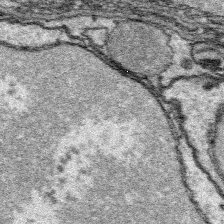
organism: Platynereis dumerilii